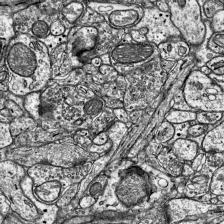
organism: Mouse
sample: Visual Cortex